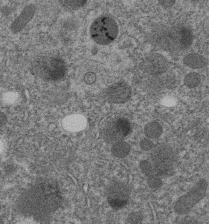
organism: C. elegans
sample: C. elegans embryo early stage